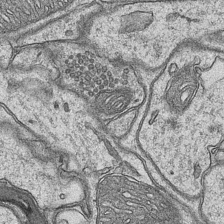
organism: Mouse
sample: CA1 Hippocampus